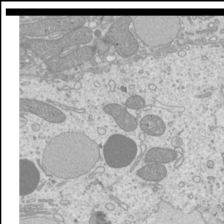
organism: Mouse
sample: Cilia; mouse epididymis